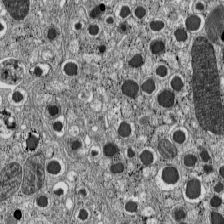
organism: C57BL Mouse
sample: Pancreatic islet